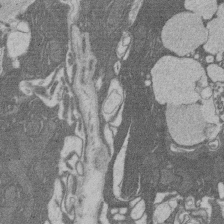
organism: Rat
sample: Salivary granule